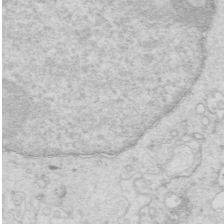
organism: Mouse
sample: Multiciliated cells